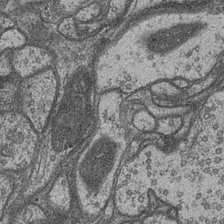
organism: Drosophila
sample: Optic medulla